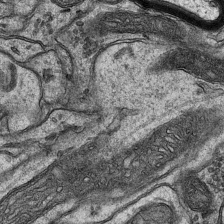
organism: Mouse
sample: CA1 Hippocampus